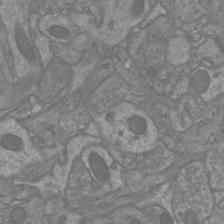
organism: Mouse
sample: Cortical neurons